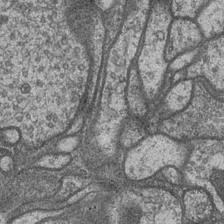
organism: Drosophila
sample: Optic medulla